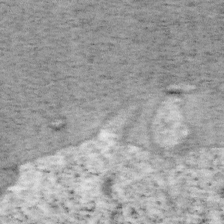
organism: Mouse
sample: OT-I killer T cells with ID8 ovarian cancer cells